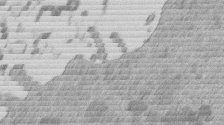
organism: Mouse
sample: Dividing mouse embryo 1 cell stage